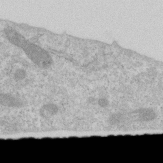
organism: Human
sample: Centriole in RPE cells